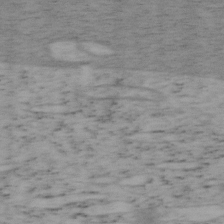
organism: Mouse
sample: OT-I killer T cells with ID8 ovarian cancer cells